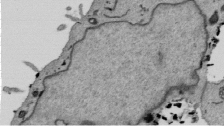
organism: Mouse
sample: ED-1 cell nuclei; centrioles